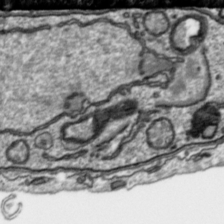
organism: Toxoplasma gondii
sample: Parasites in a vacuole inside a host cell